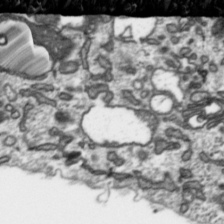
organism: Toxoplasma gondii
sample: Parasites in a vacuole inside a host cell